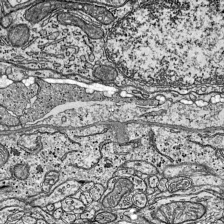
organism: Mouse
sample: Visual Cortex